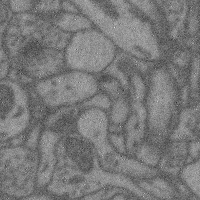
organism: Mouse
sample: Cerebral cortex